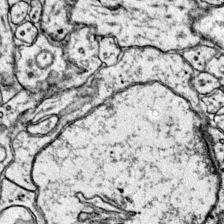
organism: Mouse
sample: Primary visual cortex